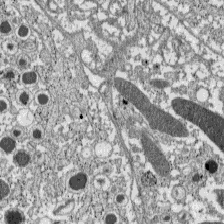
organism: C57BL Mouse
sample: Pancreatic islet